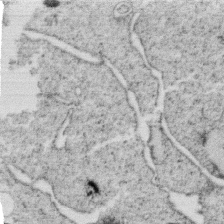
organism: C. elegans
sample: C. elegans oocyte; sperm cells